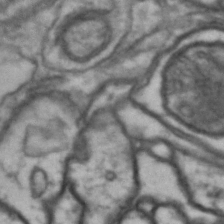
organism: Drosophila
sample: Brain